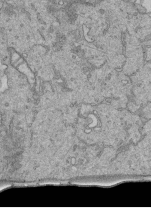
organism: Human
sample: Retinal organoid Rod and Cone cells